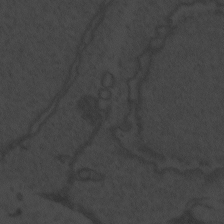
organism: Zebrafish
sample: Macrophage infected with Toxoplasma gondii